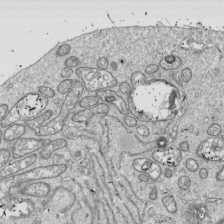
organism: Drosophila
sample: Cell division; meiosis; drosophila spermatocytes